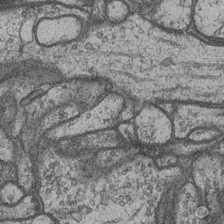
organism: Drosophila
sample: Optic medulla